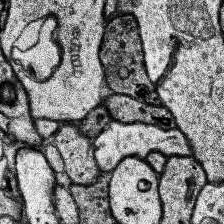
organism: Human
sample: Temporal Lobe